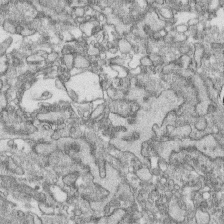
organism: Human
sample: CRL-1474